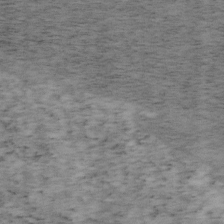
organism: Mouse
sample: OT-I killer T cells with ID8 ovarian cancer cells